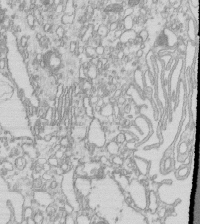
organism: Mouse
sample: Macrophages